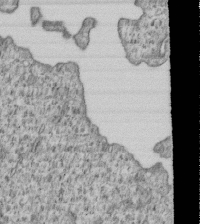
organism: Human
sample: MDA-MB-231 cells